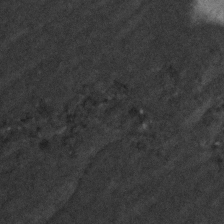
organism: Zebrafish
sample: Zebrafish embryo